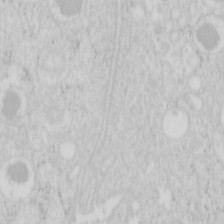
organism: Mouse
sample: Pancreas